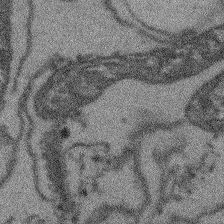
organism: Arabidopsis thaliana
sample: Root tip